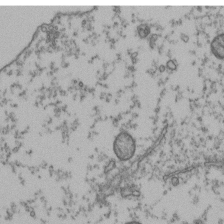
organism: Human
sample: Activated Jurkat CD4+ T cells